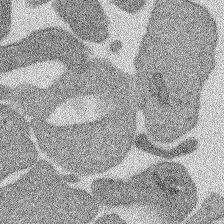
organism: Human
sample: HeLa cells